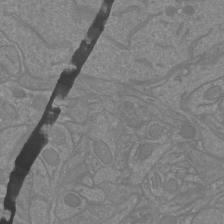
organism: Mouse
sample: Cortical neurons